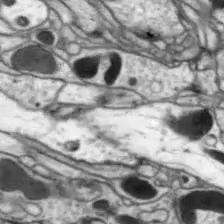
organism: Drosophila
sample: Optic lobe